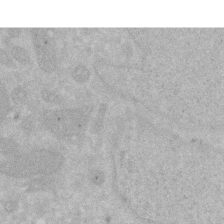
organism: Human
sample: HIV infected U937 cells